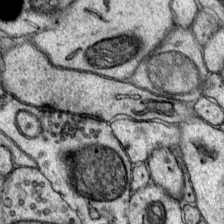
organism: Mouse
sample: Primary visual cortex